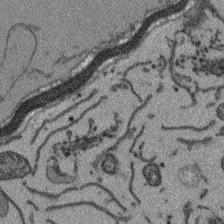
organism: Arabidopsis thaliana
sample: Root tip